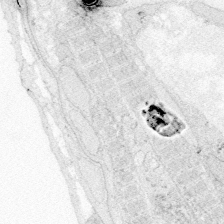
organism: Zebrafish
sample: Whole-Brain